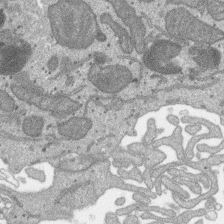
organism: Human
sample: Lung epithelial cells infected with SARS-CoV-2